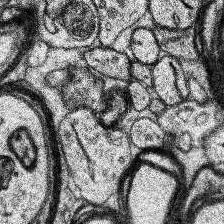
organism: Human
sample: Temporal Lobe